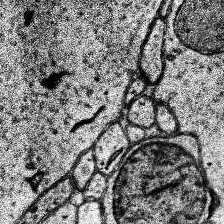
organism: Human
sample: Temporal Lobe